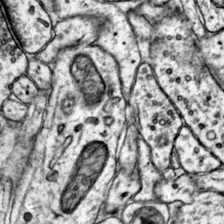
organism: Mouse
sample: Primary visual cortex